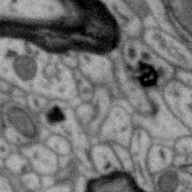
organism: Zebra finch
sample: Brain